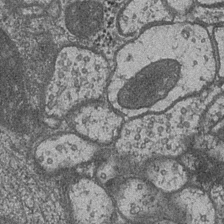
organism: Drosophila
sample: Optic medulla